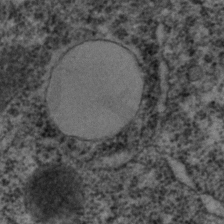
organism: C. elegans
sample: C. elegans embryo